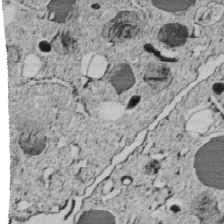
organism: C. elegans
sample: C. elegans embryo early stage